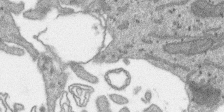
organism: Human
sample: Lung epithelial cells infected with SARS-CoV-2